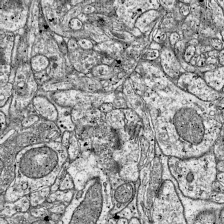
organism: Mouse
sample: Visual Cortex